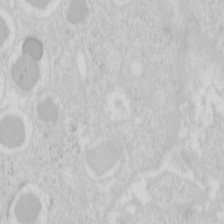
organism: Mouse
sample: Pancreas